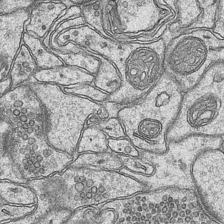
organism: Mouse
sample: CA1 Hippocampus